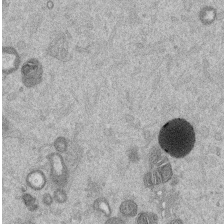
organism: Mouse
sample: Dividing mouse embryo 1 cell stage